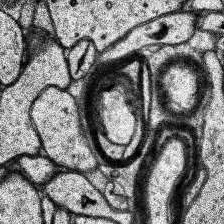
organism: Human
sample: Temporal Lobe